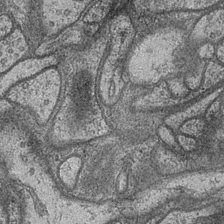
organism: Drosophila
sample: Optic medulla